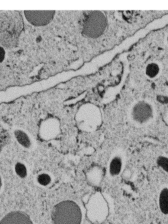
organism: C. elegans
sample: C. elegans embryo early stage